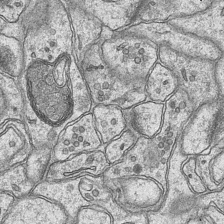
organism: Mouse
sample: CA1 Hippocampus